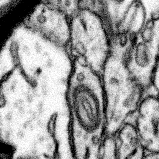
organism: Mouse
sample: Somatosensory cortex neuropil